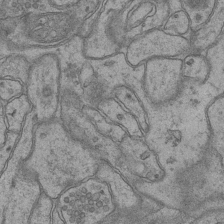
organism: Mouse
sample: CA1 Hippocampus